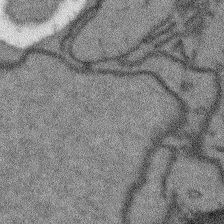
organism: Arabidopsis thaliana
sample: Root tip